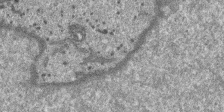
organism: Human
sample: Lung epithelial cells infected with SARS-CoV-2